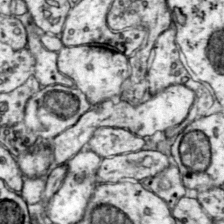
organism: Mouse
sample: Primary visual cortex